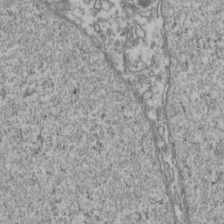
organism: Human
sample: Activated Jurkat CD4+ T cells